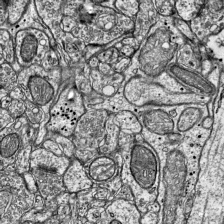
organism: Mouse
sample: Visual Cortex